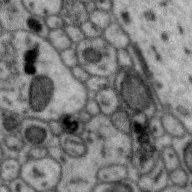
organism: Zebra finch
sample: Brain